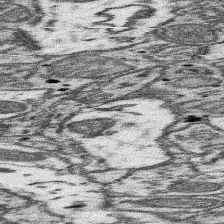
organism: Mouse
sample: Somatosensory cortex neuropil